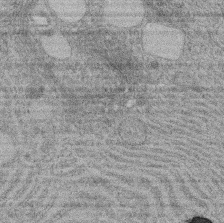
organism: Rat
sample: Salivary granule